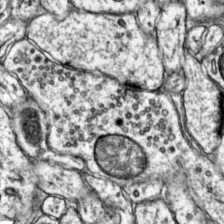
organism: Mouse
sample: Primary visual cortex